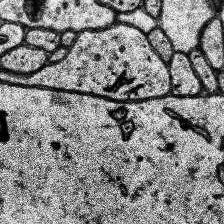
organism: Human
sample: Temporal Lobe